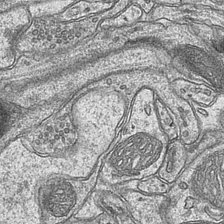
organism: Mouse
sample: CA1 Hippocampus